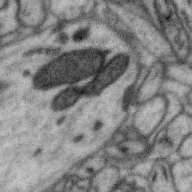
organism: Zebra finch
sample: Brain